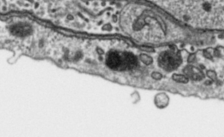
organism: Toxoplasma gondii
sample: Parasites in a vacuole inside a host cell